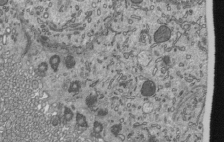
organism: Mouse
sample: Mouse epididymis efferent ductule cilia